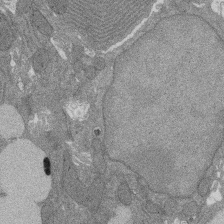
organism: Rat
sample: Salivary granule